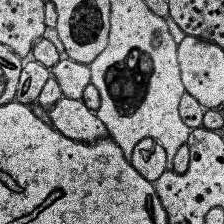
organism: Human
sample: Temporal Lobe